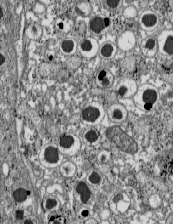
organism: C57BL Mouse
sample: Pancreatic islet